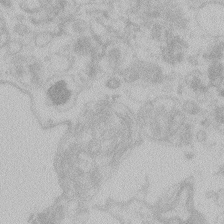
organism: Zebrafish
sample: Macrophage infected with Toxoplasma gondii